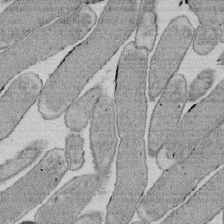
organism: E. coli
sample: Bacterial nucleoid